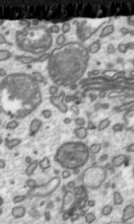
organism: Toxoplasma gondii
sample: Parasites in a vacuole inside a host cell